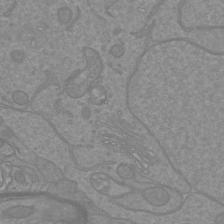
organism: Mouse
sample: Cortical neurons